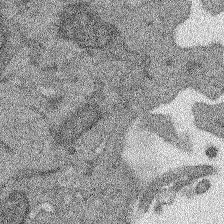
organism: Human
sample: HeLa cells